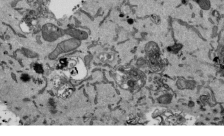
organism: Mouse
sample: ED-1 cell nuclei; centrioles